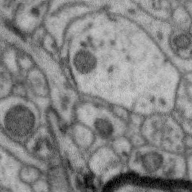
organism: Zebra finch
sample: Brain